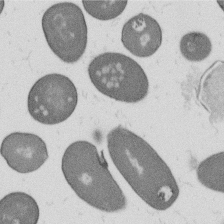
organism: B. subtilis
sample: Bacterial spore